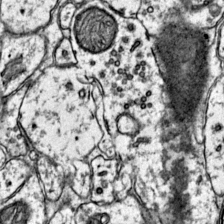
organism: Mouse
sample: Primary visual cortex